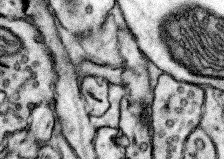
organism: Mouse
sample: Somatosensory cortex neuropil